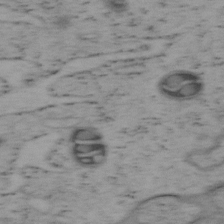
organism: Mouse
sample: OT-I killer T cells with ID8 ovarian cancer cells